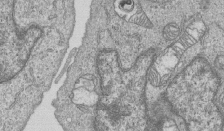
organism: Human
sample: MDA-MB-231 cells